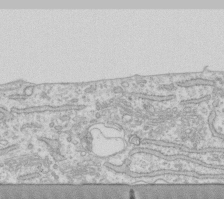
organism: Human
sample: Fibroblast cells